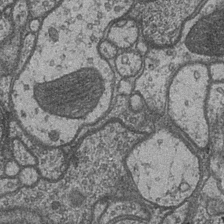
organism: Drosophila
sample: Optic medulla